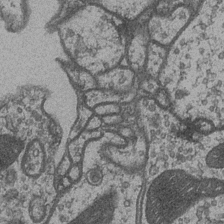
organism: Drosophila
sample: Optic medulla